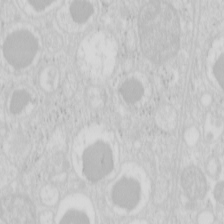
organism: Mouse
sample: Pancreas